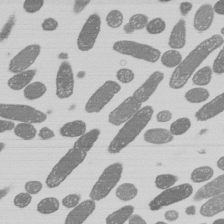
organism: E. coli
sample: Bacterial nucleoid